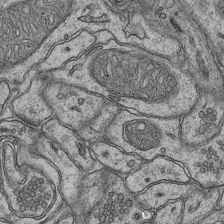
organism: Mouse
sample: CA1 Hippocampus